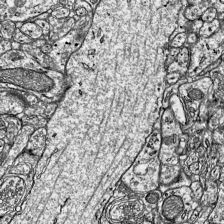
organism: Mouse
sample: Visual Cortex